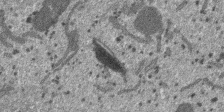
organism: Human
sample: Lung epithelial cells infected with SARS-CoV-2